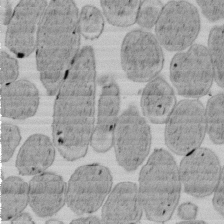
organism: E. coli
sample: Bacterial nucleoid